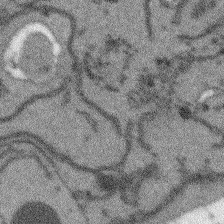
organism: Arabidopsis thaliana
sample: Root tip